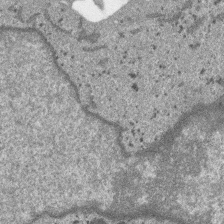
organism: Human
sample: Lung epithelial cells infected with SARS-CoV-2